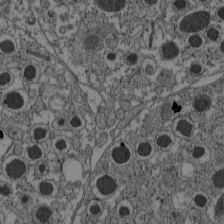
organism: C57BL Mouse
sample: Pancreatic islet